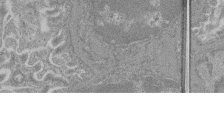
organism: Mouse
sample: Glomerulus